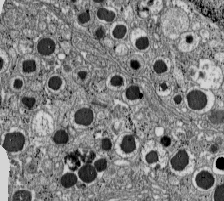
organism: C57BL Mouse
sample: Pancreatic islet